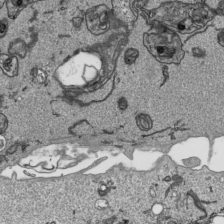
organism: Human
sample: Mitochondria in HCT116 cells